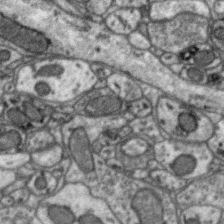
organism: Zebra finch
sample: Brain